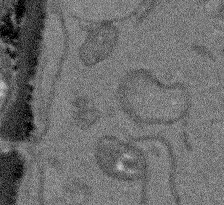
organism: Arabidopsis thaliana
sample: Root tip